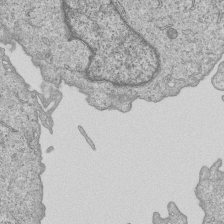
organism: Human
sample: MDA-MB-231 cells